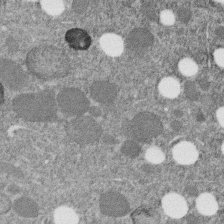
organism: C. elegans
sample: C. elegans embryo early stage